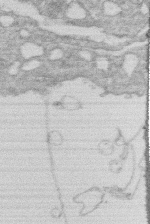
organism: Human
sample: Macrophage cells